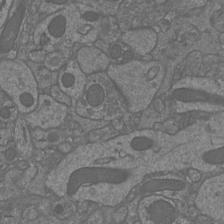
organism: Mouse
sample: Cortical neurons